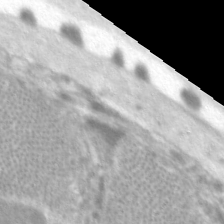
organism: C. elegans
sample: Pharynx